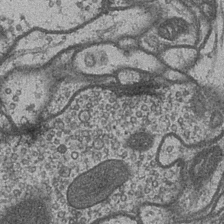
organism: Drosophila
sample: Optic medulla